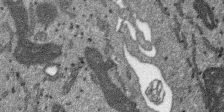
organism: Human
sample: Lung epithelial cells infected with SARS-CoV-2